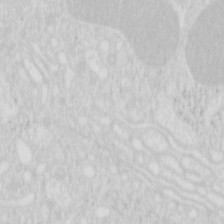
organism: Mouse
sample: Pancreas